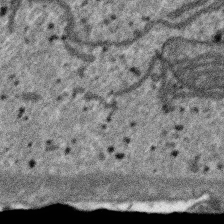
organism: Human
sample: Lung epithelial cells infected with SARS-CoV-2